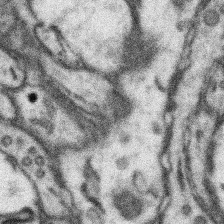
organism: Mouse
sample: Somatosensory cortex neuropil